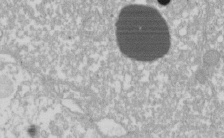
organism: Xenopus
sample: Cilia; centrioles in frog embryo cells